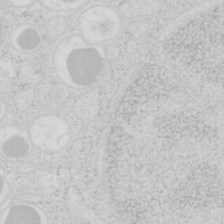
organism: Mouse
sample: Pancreas